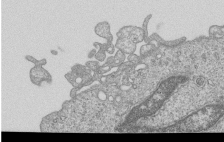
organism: Human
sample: MDA-MB-231 cells